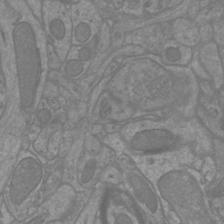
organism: Mouse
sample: Cortical neurons